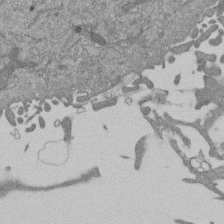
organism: Mouse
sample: ED-1 cell nuclei; centrioles